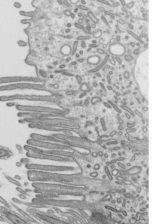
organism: Mouse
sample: Mouse epididymis efferent ductule cilia